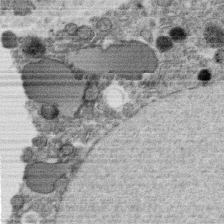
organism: C. elegans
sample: C. elegans oocyte; sperm cells